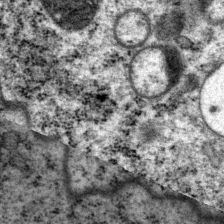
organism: P. pacificus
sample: Pharynx